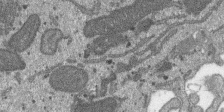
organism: Human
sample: Lung epithelial cells infected with SARS-CoV-2